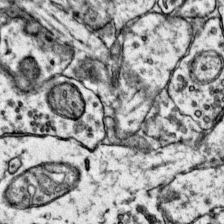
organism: Mouse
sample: Primary visual cortex